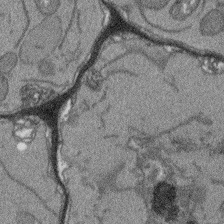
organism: Arabidopsis thaliana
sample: Root tip